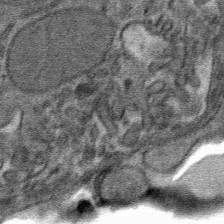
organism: Mouse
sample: Mouse hepatocytes